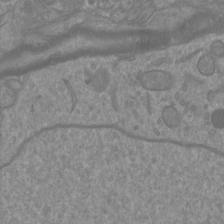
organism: Mouse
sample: Cortical neurons